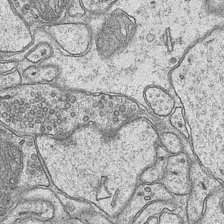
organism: Mouse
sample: CA1 Hippocampus